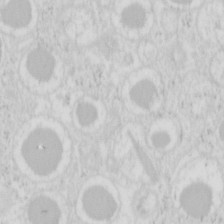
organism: Mouse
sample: Pancreas